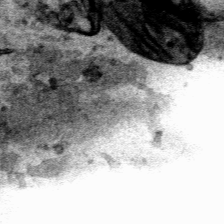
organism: Human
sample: Mitochondria in HCT116 cells